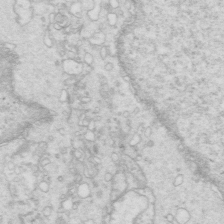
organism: Mouse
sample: Multiciliated cells